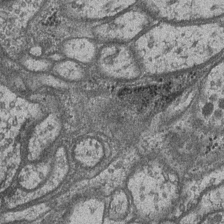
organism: Drosophila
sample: Optic medulla